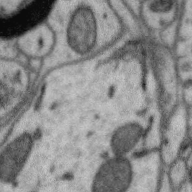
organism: Zebra finch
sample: Brain